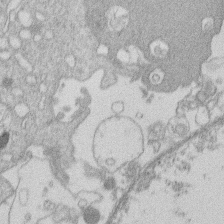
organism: Human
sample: Macrophage cells